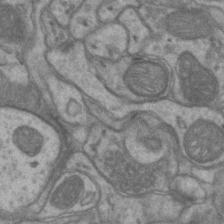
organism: Mouse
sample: CA1 Hippocampus